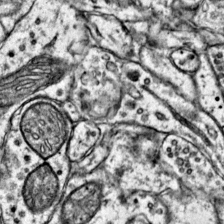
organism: Mouse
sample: Primary visual cortex